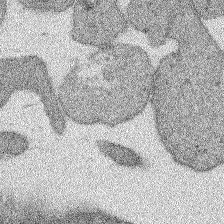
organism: Human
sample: HeLa cells